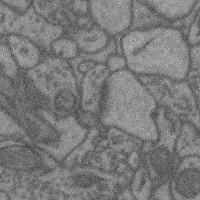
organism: Mouse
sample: Cerebral cortex